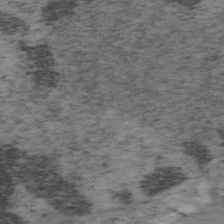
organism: Mouse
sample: OT-I killer T cells with ID8 ovarian cancer cells